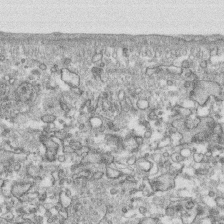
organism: Human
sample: CRL-1474